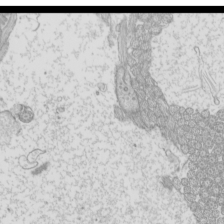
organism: Mouse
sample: Cilia; mouse epididymis